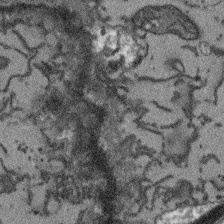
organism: Arabidopsis thaliana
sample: Root tip